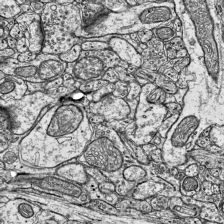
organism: Mouse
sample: Visual Cortex